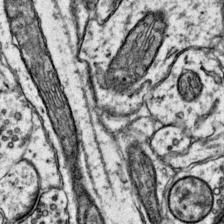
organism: Mouse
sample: Primary visual cortex